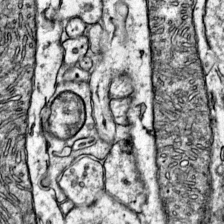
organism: Mouse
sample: Primary visual cortex